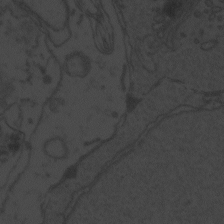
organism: Zebrafish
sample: Macrophage infected with Toxoplasma gondii